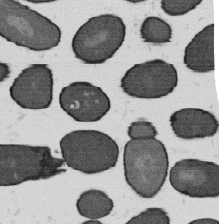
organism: B. subtilis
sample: Bacterial spore